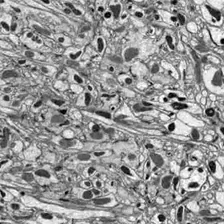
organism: Drosophila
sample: Optic lobe